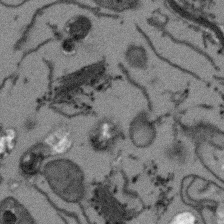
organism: Arabidopsis thaliana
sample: Root tip